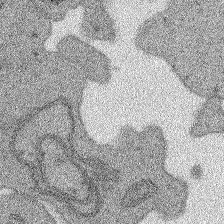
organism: Human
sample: HeLa cells